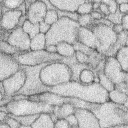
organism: Rabbit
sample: Retina